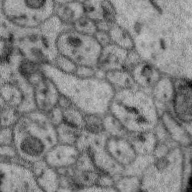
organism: Zebra finch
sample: Brain